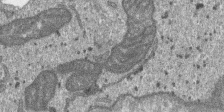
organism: Human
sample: Lung epithelial cells infected with SARS-CoV-2